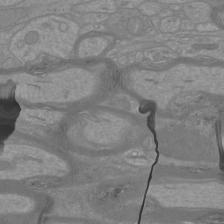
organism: Mouse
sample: Cortical neurons